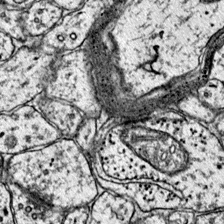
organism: Mouse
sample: Primary visual cortex